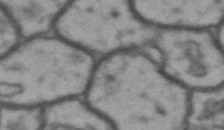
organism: Drosophila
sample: Brain